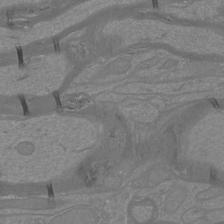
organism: Mouse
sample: Cortical neurons